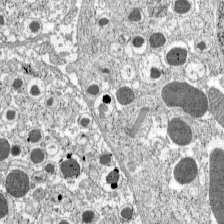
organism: C57BL Mouse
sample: Pancreatic islet